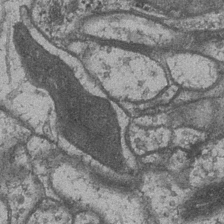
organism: Drosophila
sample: Optic medulla